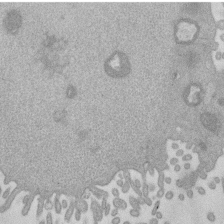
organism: Mouse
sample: Dividing mouse embryo 1 cell stage